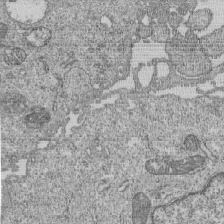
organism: Human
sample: MDA-MB-231 cells